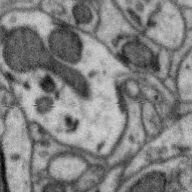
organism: Zebra finch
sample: Brain